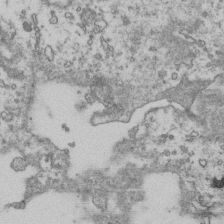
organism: Human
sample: Activated Jurkat CD4+ T cells